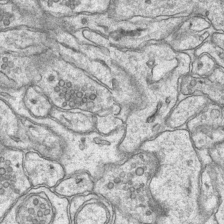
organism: Mouse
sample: CA1 Hippocampus